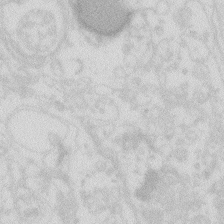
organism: Zebrafish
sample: Macrophage